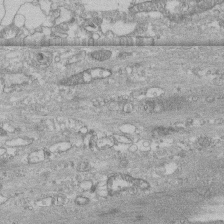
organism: Human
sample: CRL-1474